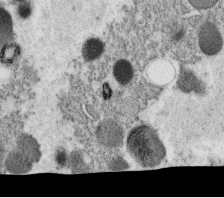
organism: C. elegans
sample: C. elegans oocyte; sperm cells